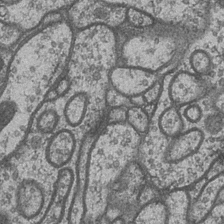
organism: Drosophila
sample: Optic medulla